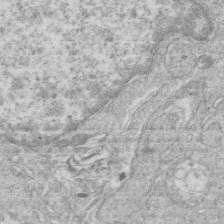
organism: Human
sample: Macrophage cells